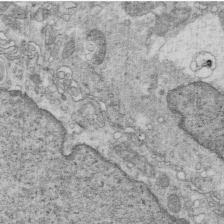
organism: Mouse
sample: Multiciliated cells